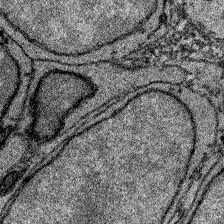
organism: Zebrafish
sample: Larval olfactory bulb